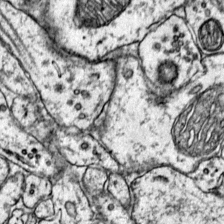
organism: Mouse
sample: Primary visual cortex